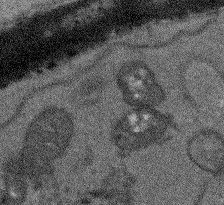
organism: Arabidopsis thaliana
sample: Root tip